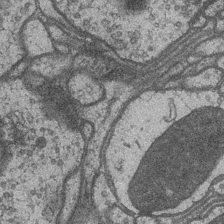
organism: Drosophila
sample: Optic medulla